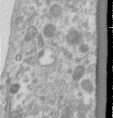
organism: Human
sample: Centriole in RPE cells